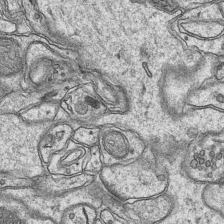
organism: Mouse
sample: CA1 Hippocampus